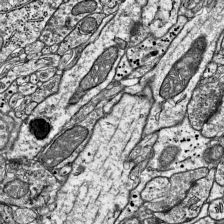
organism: Mouse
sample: Visual Cortex